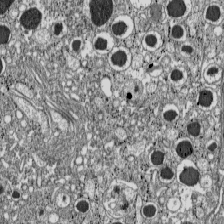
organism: C57BL Mouse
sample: Pancreatic islet